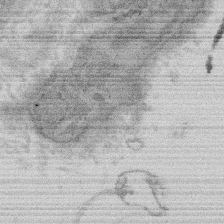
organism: Rat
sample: Salivary granule